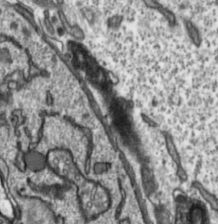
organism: Toxoplasma gondii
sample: Parasites in a vacuole inside a host cell